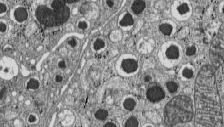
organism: C57BL Mouse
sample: Pancreatic islet